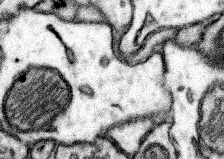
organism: Mouse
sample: Somatosensory cortex neuropil